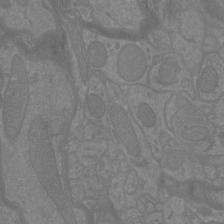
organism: Mouse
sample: Cortical neurons